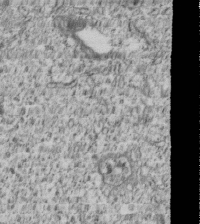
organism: Human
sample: MDA-MB-231 cells